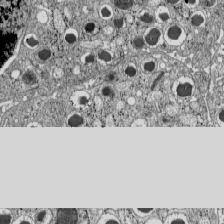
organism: C57BL Mouse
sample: Pancreatic islet